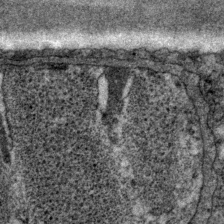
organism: P. pacificus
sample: Pharynx